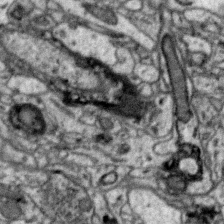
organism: Zebra finch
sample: Brain